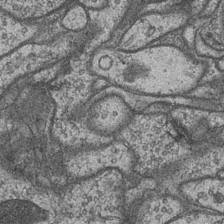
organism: Drosophila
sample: Optic medulla